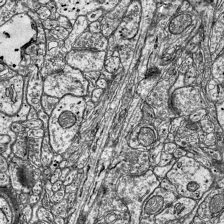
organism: Mouse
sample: Visual Cortex